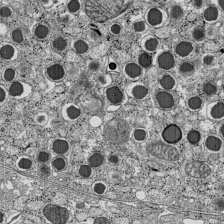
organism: C57BL Mouse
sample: Pancreatic islet